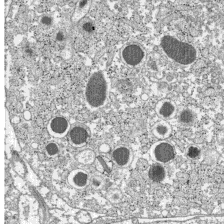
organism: C57BL Mouse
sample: Pancreatic islet